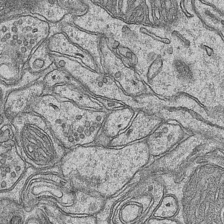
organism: Mouse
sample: CA1 Hippocampus